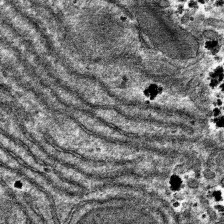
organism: Mouse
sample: Mouse hepatocytes